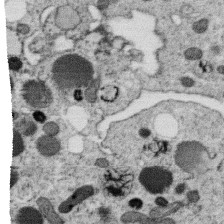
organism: C. elegans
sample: C. elegans oocyte; sperm cells